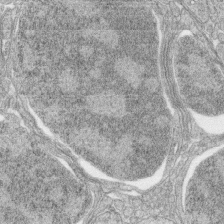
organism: Zebrafish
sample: synaptic ribbons in rod cells and cone cells